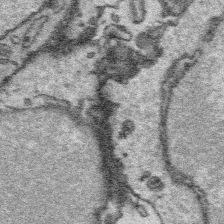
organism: Platynereis dumerilii